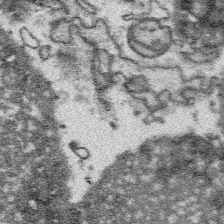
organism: Platynereis dumerilii